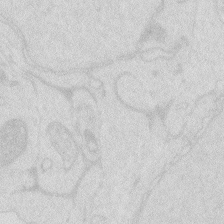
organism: Zebrafish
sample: Macrophage